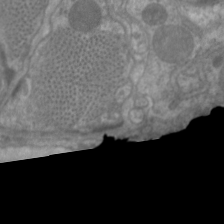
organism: C. elegans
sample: Pharynx